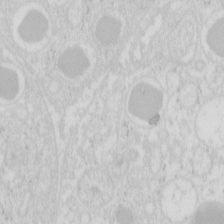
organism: Mouse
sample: Pancreas